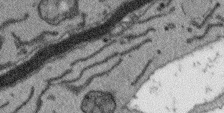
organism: Arabidopsis thaliana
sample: Root tip